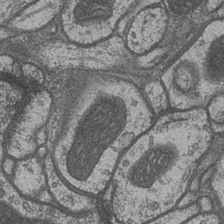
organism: Drosophila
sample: Optic medulla